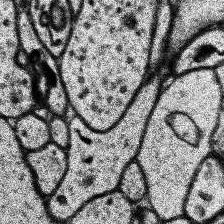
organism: Human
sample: Temporal Lobe